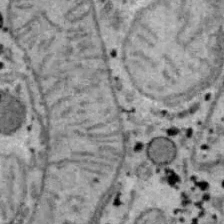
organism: Mouse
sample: Liver from an obese (ob/ob) mouse